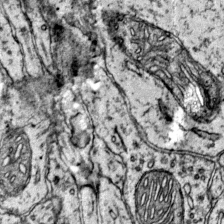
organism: Mouse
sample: Primary visual cortex